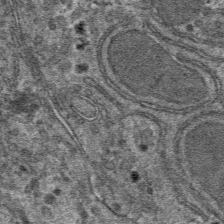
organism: Mouse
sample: Mouse hepatocytes